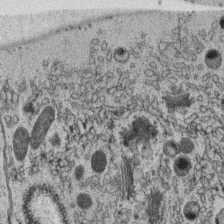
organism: C. elegans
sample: C. elegans oocyte; sperm cells